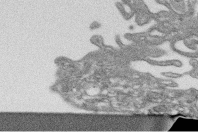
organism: Human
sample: CRL-1474